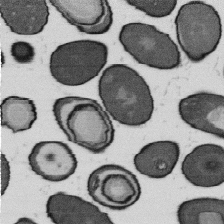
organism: B. subtilis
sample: Bacterial spore